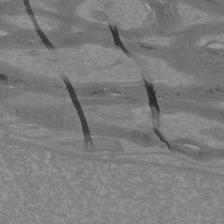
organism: Mouse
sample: Cortical neurons